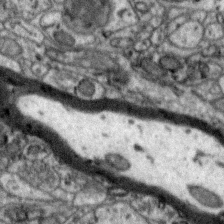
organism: Zebra finch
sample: Brain